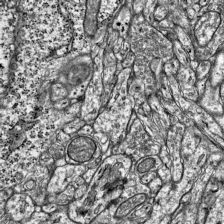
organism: Mouse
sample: Visual Cortex